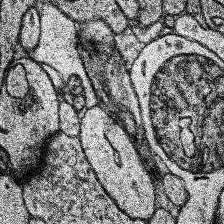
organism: Human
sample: Temporal Lobe